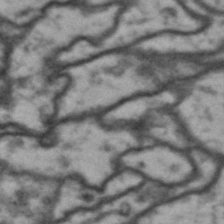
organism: Drosophila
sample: Brain